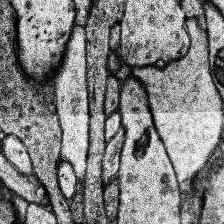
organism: Human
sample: Temporal Lobe